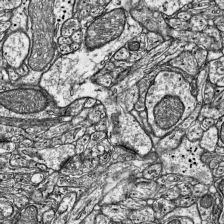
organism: Mouse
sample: Visual Cortex